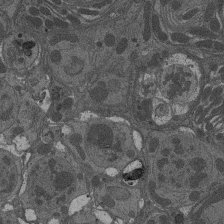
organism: Drosophila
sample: Antenna